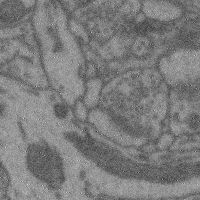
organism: Mouse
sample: Cerebral cortex